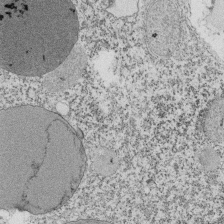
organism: Tetrahymena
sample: Cilia in tetrahymena